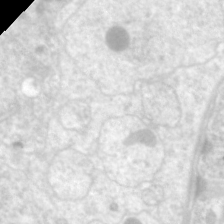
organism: C. elegans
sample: Pharynx